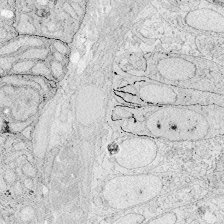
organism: Zebrafish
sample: Whole-Brain